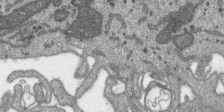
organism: Human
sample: Lung epithelial cells infected with SARS-CoV-2